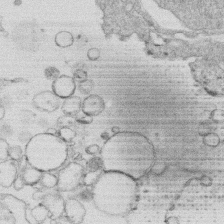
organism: Human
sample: Macrophage cells